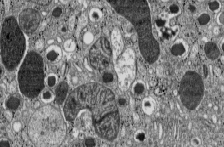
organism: C57BL Mouse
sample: Pancreatic islet